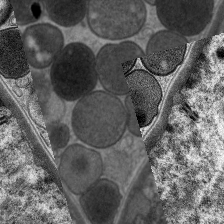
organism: C. elegans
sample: Pharynx